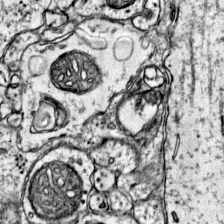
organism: Mouse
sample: Primary visual cortex